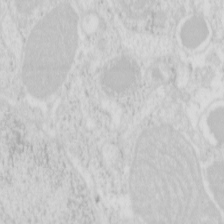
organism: Mouse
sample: Pancreas